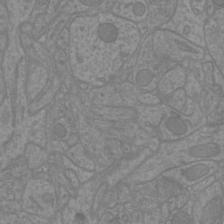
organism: Mouse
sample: Cortical neurons